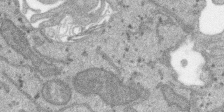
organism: Human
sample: Lung epithelial cells infected with SARS-CoV-2